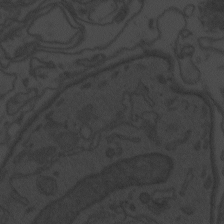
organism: Zebrafish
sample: Macrophage infected with Toxoplasma gondii